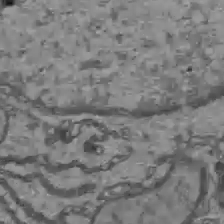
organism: C57BL Mouse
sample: Liver